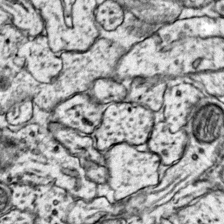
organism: Mouse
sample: Primary visual cortex